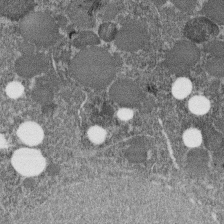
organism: C. elegans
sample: C. elegans embryo early stage